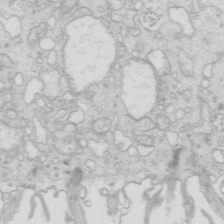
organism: Mouse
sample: Multiciliated cells